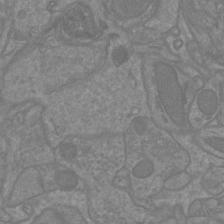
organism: Mouse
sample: Cortical neurons